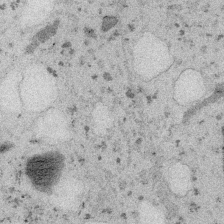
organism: Embia sp.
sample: Silk gland